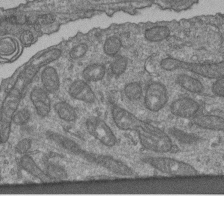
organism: Human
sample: Retinal organoid Rod and Cone cells